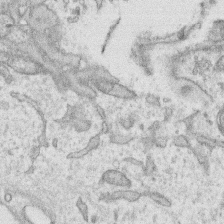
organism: Human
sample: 1205lu cells